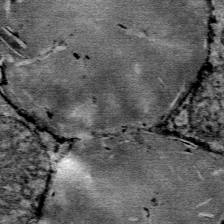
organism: Mouse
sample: Mouse Salivary gland